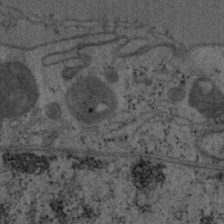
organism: Human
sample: HeLa cells